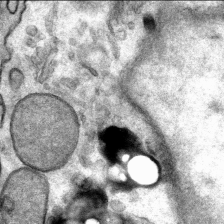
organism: Mouse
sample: Mouse Salivary gland